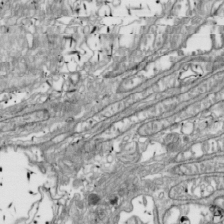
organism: Drosophila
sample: Cell division; meiosis; drosophila spermatocytes